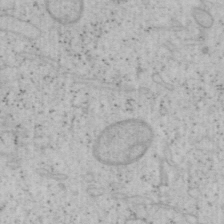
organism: Human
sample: HeLa cells